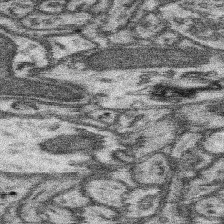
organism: Mouse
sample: Somatosensory cortex neuropil